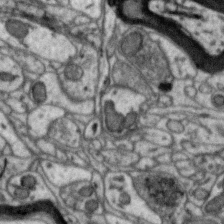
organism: Zebra finch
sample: Brain